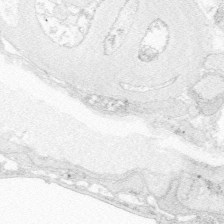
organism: Zebrafish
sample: Whole-Brain